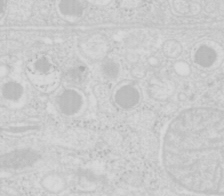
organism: Mouse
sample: Pancreas